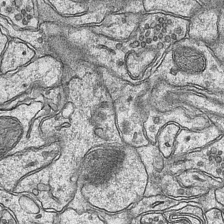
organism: Mouse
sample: CA1 Hippocampus